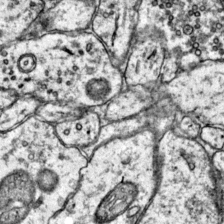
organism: Mouse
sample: Primary visual cortex